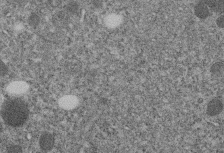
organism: C. elegans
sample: C. elegans embryo early stage